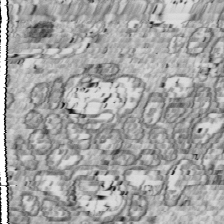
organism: Drosophila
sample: Cell division; meiosis; drosophila spermatocytes